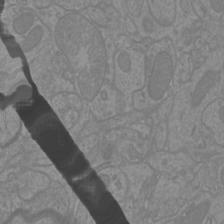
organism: Mouse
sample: Cortical neurons